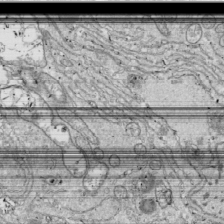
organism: Drosophila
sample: Cell division; meiosis; drosophila spermatocytes